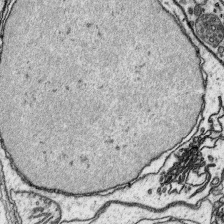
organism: Platynereis dumerilii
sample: Parapodia